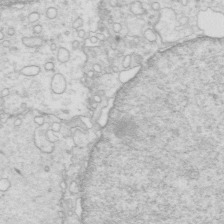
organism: Mouse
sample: Multiciliated cells